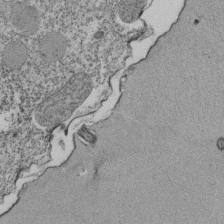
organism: Tetrahymena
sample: Cilia in tetrahymena